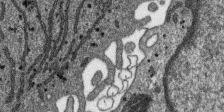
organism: Human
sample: Lung epithelial cells infected with SARS-CoV-2